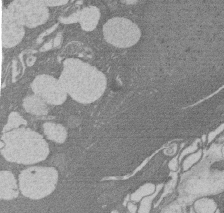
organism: Rat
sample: Salivary granule